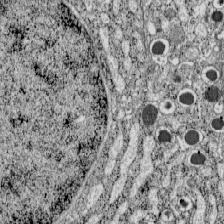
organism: C57BL Mouse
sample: Pancreatic islet